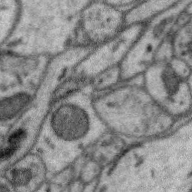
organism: Zebra finch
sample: Brain